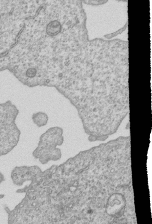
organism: Human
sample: MDA-MB-231 cells